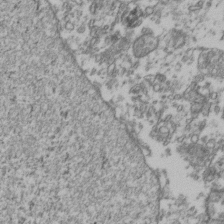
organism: Human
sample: Activated Jurkat CD4+ T cells